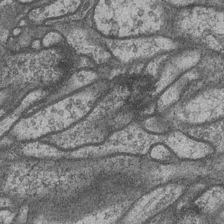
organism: Drosophila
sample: Optic medulla